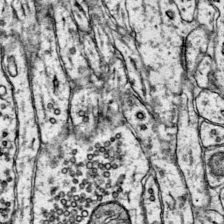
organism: Mouse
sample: Primary visual cortex